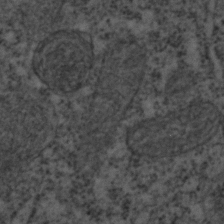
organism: C. elegans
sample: C. elegans embryo